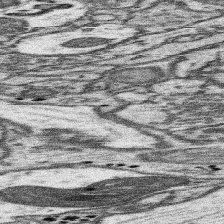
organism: Mouse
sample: Somatosensory cortex neuropil